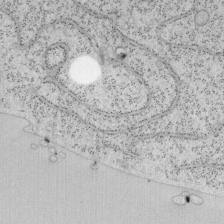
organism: Mouse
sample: OT-I killer T cells with ID8 ovarian cancer cells